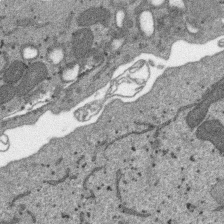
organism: Human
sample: Lung epithelial cells infected with SARS-CoV-2